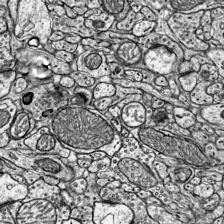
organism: Mouse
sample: Visual Cortex